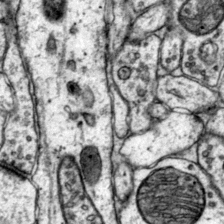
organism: Mouse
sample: Primary visual cortex